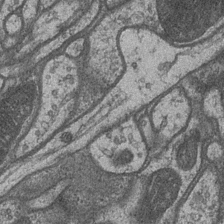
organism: Drosophila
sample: Optic medulla